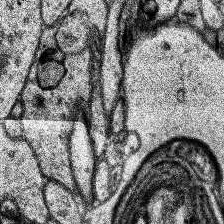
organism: Human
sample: Temporal Lobe